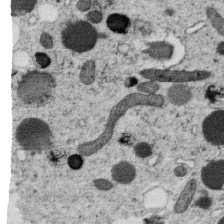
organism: C. elegans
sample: C. elegans oocyte; sperm cells